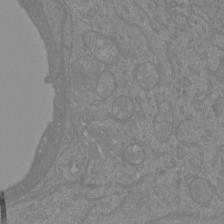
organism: Mouse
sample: Cortical neurons